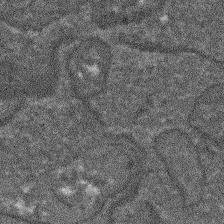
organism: Arabidopsis thaliana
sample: Root tip